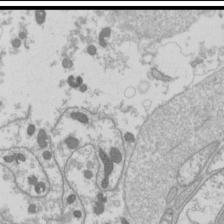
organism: Drosophila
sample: Cell division; meiosis; drosophila spermatocytes